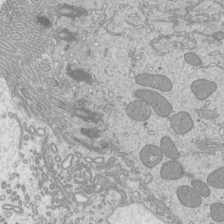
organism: Mouse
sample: Cilia; mouse epididymis